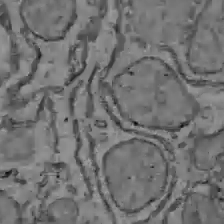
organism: C57BL Mouse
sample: Liver